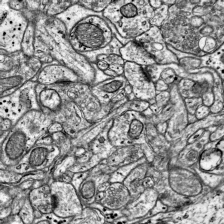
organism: Mouse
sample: Visual Cortex